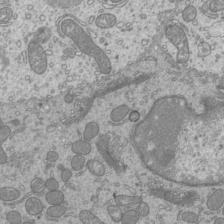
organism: Mouse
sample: Cilia; mouse epididymis